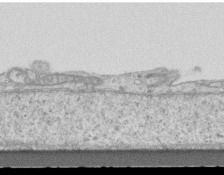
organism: Mouse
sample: Centriole in ependymal cells